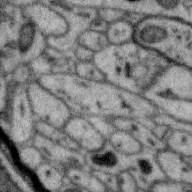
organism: Zebra finch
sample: Brain